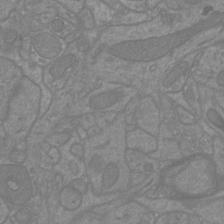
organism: Mouse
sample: Cortical neurons